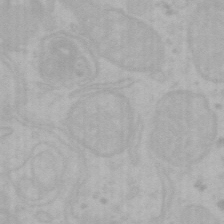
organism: Mouse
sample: Choroid plexus